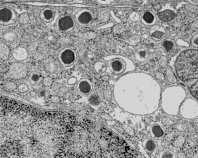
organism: C57BL Mouse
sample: Pancreatic islet